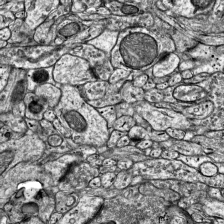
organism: Mouse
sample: Visual Cortex